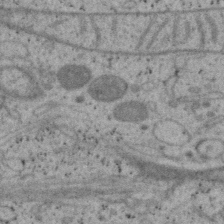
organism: Human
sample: HeLa cells